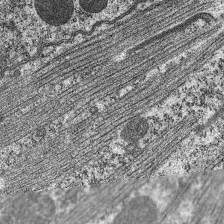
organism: C. elegans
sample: Pharynx